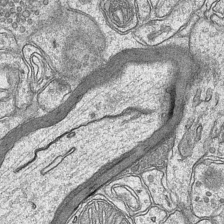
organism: Mouse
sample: CA1 Hippocampus